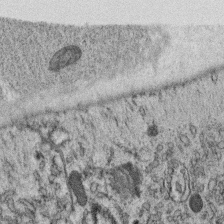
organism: C. elegans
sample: C. elegans oocyte; sperm cells